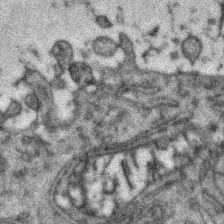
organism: Zebrafish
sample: Zebrafish embryo